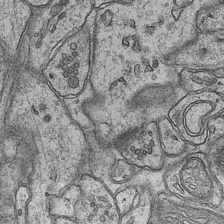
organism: Mouse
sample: CA1 Hippocampus